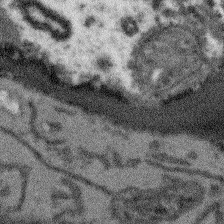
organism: Arabidopsis thaliana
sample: Root tip